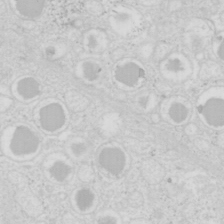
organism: Mouse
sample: Pancreas